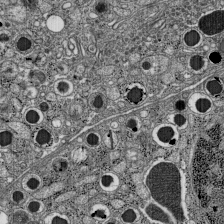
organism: C57BL Mouse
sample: Pancreatic islet